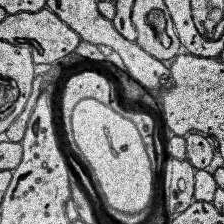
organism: Human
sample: Temporal Lobe